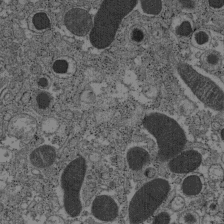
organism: C57BL Mouse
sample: Pancreatic islet